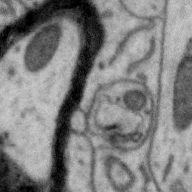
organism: Zebra finch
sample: Brain